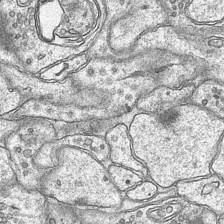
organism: Mouse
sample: CA1 Hippocampus